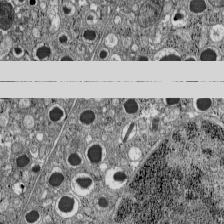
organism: C57BL Mouse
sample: Pancreatic islet